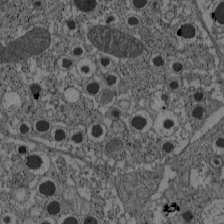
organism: C57BL Mouse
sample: Pancreatic islet